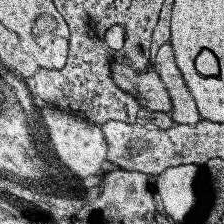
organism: Human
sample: Temporal Lobe